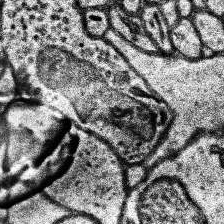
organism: Human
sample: Temporal Lobe